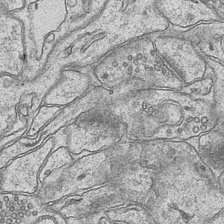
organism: Mouse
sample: CA1 Hippocampus